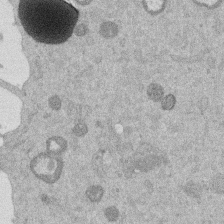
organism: Mouse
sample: Dividing mouse embryo 1 cell stage